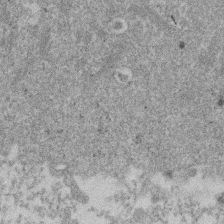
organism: Mouse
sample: Dividing mouse embryo 1 cell stage